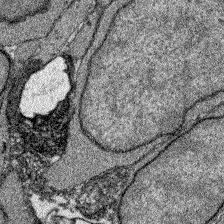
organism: Zebrafish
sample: Larval olfactory bulb